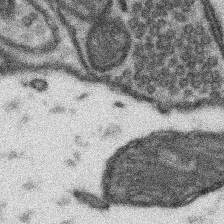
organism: Mouse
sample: Somatosensory cortex neuropil